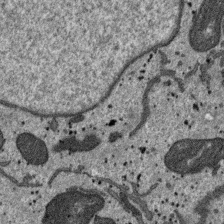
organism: Human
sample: Lung epithelial cells, uninfected (mock) control